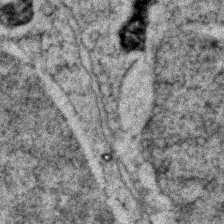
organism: Zebrafish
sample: Zebrafish embryo